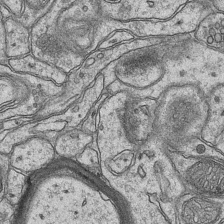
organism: Mouse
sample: CA1 Hippocampus